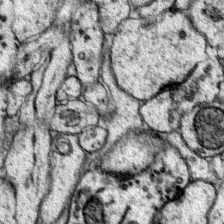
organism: Mouse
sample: Primary visual cortex